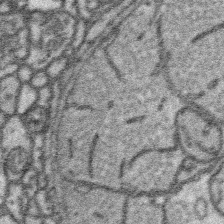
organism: Platynereis dumerilii